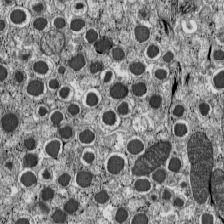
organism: C57BL Mouse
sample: Pancreatic islet